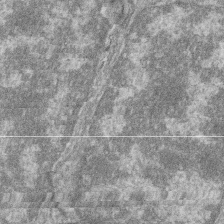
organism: Zebrafish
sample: Cilia; retinal pigment epithelium